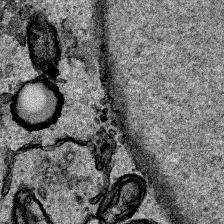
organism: Human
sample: Mitochondria in HCT116 cells